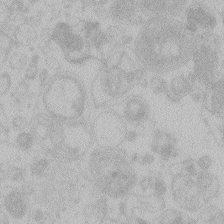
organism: Zebrafish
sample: Macrophage infected with Toxoplasma gondii